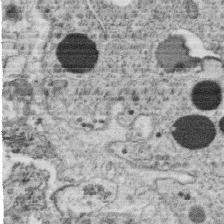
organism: C. elegans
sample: C. elegans oocyte; sperm cells